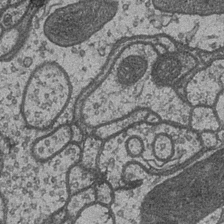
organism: Drosophila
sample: Optic medulla